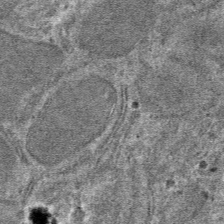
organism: Mouse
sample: Mouse hepatocytes